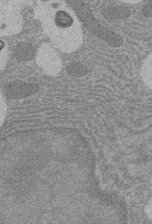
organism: Rat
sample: Salivary granule